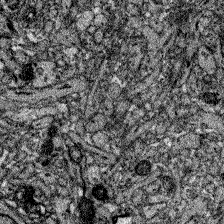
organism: Zebrafish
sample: Larval olfactory bulb